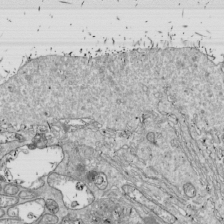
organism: Drosophila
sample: Cell division; meiosis; drosophila spermatocytes